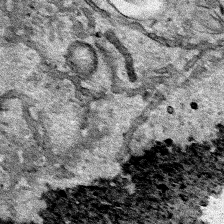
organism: Human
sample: Mitochondria in HCT116 cells